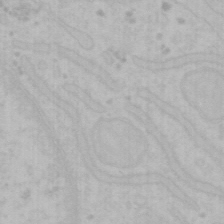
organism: Mouse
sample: Choroid plexus